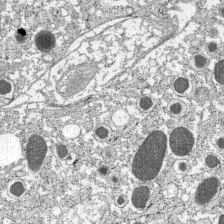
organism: C57BL Mouse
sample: Pancreatic islet